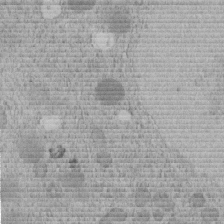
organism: C. elegans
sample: C. elegans embryo early stage